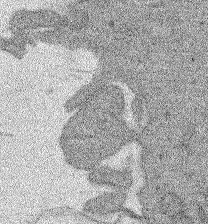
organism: Human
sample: HeLa cells